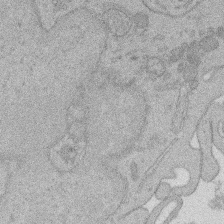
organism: Rat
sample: Salivary granule